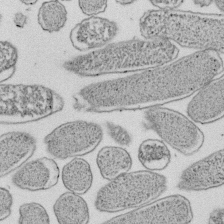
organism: E. coli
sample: Bacterial nucleoid